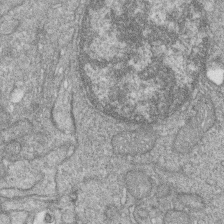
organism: Zebrafish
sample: Cilia; retinal pigment epithelium